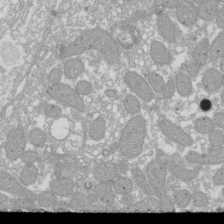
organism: Xenopus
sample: Cilia; centrioles in frog embryo cells